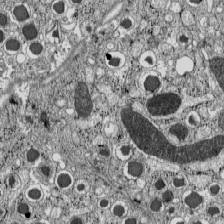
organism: C57BL Mouse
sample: Pancreatic islet